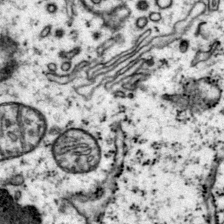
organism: Mouse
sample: Primary visual cortex